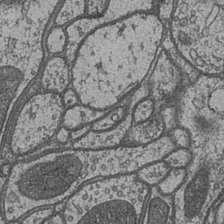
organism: Drosophila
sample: Optic medulla